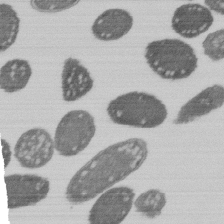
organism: E. coli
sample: Bacterial nucleoid